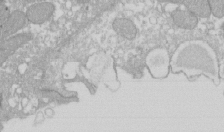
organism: Xenopus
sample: Cilia; centrioles in frog embryo cells